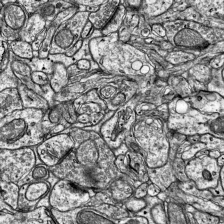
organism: Mouse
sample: Visual Cortex